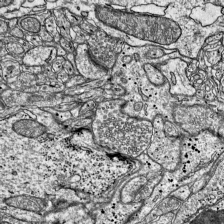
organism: Mouse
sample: Visual Cortex